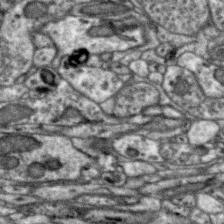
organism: Zebra finch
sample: Brain